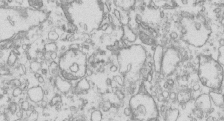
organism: Mouse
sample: Macrophages